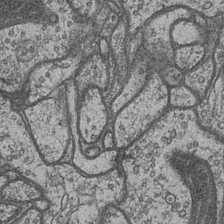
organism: Drosophila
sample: Optic medulla